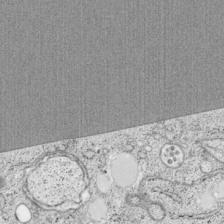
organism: African green monkey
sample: COS-7 cells